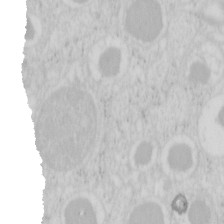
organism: Mouse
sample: Pancreas